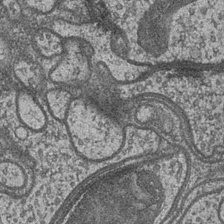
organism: Drosophila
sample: Optic medulla